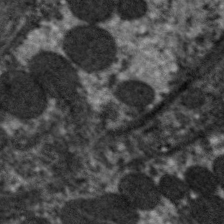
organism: C. elegans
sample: Pharynx